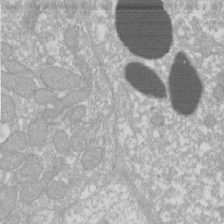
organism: Xenopus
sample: Cilia; centrioles in frog embryo cells